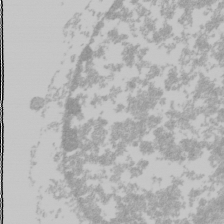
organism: Mouse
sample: Cancer cell death in ED-1 cells